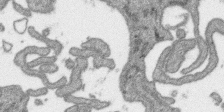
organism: Human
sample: Lung epithelial cells infected with SARS-CoV-2